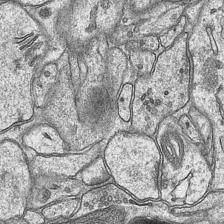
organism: Mouse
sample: CA1 Hippocampus